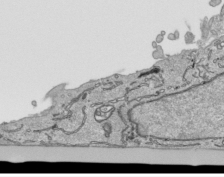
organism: Human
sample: Mitochondria in HCT116 cells